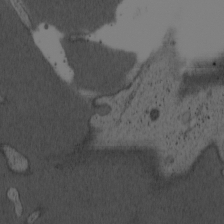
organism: African green monkey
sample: COS-7 cells